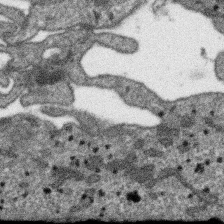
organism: Human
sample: Lung epithelial cells infected with SARS-CoV-2